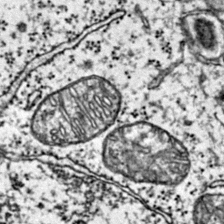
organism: Mouse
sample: Primary visual cortex